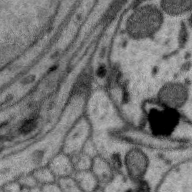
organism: Zebra finch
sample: Brain